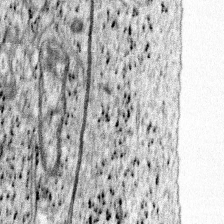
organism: Human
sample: HeLa cells